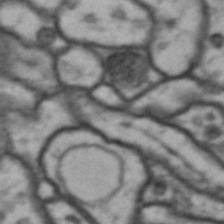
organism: Drosophila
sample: Brain